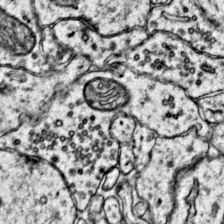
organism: Mouse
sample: Primary visual cortex